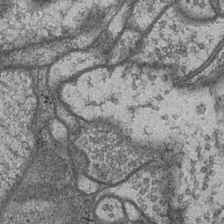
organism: Drosophila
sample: Optic medulla